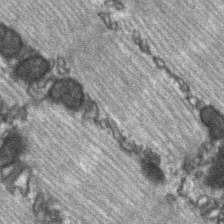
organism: C57BL Mouse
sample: Soleus